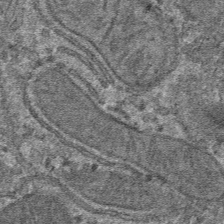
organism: Mouse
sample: Mouse hepatocytes